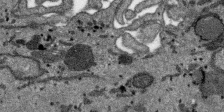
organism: Human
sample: Lung epithelial cells, uninfected (mock) control